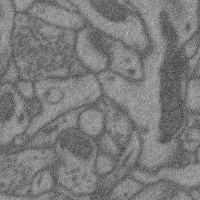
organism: Mouse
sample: Cerebral cortex